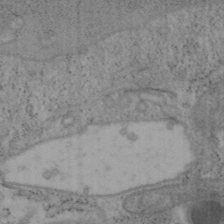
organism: Mouse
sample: OT-I killer T cells with ID8 ovarian cancer cells